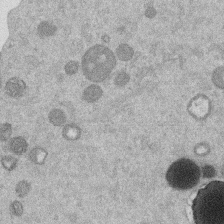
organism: Mouse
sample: Dividing mouse embryo 1 cell stage